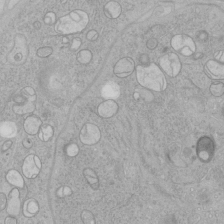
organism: Human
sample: Mitochondria in HCT116 cells